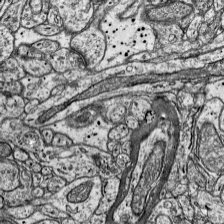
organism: Mouse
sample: Visual Cortex